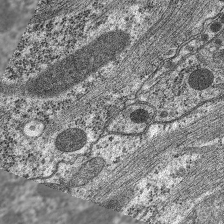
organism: C. elegans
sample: Pharynx